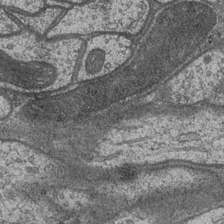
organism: Drosophila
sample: Optic medulla